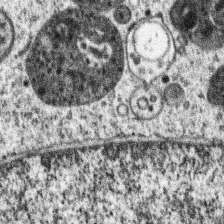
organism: Human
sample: HeLa cells